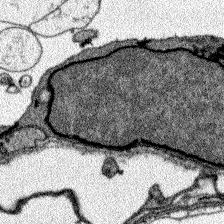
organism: Zebrafish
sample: Larval olfactory bulb